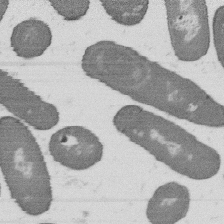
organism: B. subtilis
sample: Bacterial spore